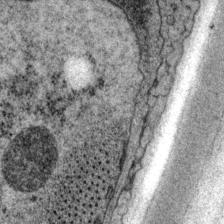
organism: P. pacificus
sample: Pharynx